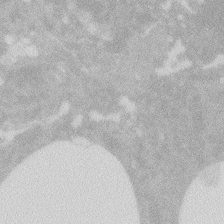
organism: Zebrafish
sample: Macrophage